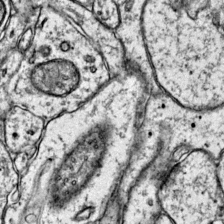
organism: Mouse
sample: Primary visual cortex